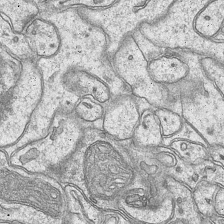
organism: Mouse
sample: CA1 Hippocampus